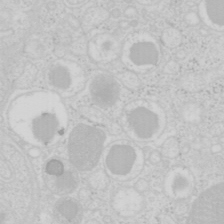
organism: Mouse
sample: Pancreas